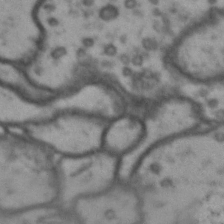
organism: Drosophila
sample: Brain